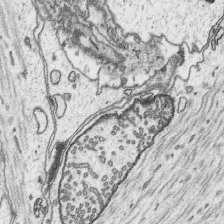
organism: Platynereis dumerilii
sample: Parapodia